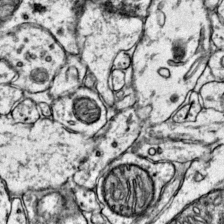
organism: Mouse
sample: Primary visual cortex